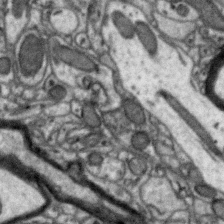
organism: Zebra finch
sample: Brain